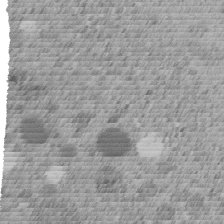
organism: C. elegans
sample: C. elegans embryo early stage